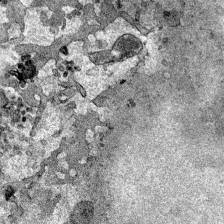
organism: Human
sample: Mitochondria in HCT116 cells